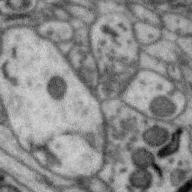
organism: Zebra finch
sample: Brain